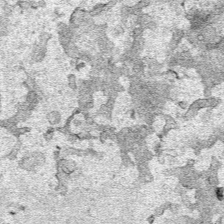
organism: Human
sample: Mitochondria in HCT116 cells